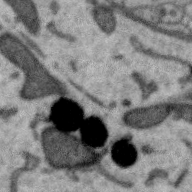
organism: Zebra finch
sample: Brain